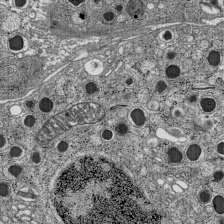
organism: C57BL Mouse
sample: Pancreatic islet